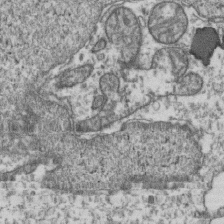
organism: Human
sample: Activated Jurkat CD4+ T cells